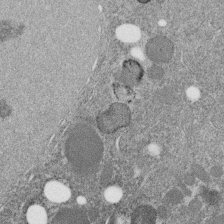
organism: C. elegans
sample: C. elegans embryo early stage